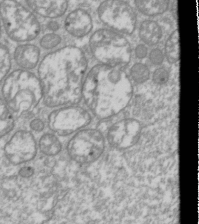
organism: Drosophila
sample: Cell division; meiosis; drosophila spermatocytes